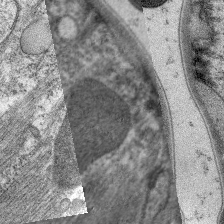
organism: C. elegans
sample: Pharynx